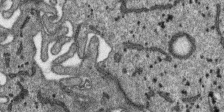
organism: Human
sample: Lung epithelial cells infected with SARS-CoV-2